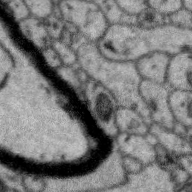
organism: Zebra finch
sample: Brain